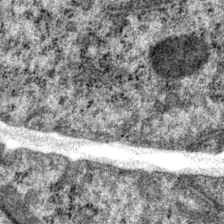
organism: P. pacificus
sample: Pharynx